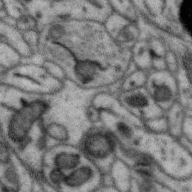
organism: Zebra finch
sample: Brain